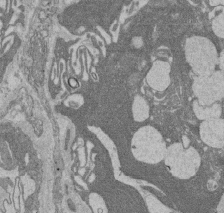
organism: Rat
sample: Salivary granule